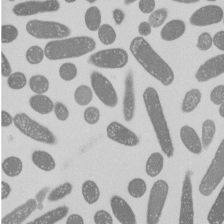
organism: E. coli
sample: Bacterial nucleoid